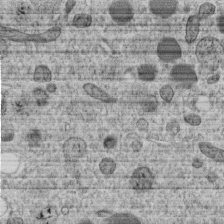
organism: C. elegans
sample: C. elegans embryo early stage